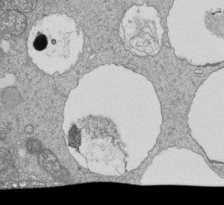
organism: Tetrahymena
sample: Cilia in tetrahymena